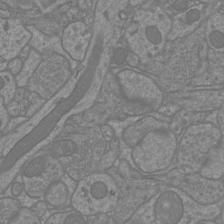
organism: Mouse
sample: Cortical neurons